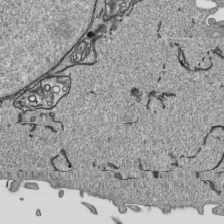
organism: Human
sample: Mitochondria in HCT116 cells